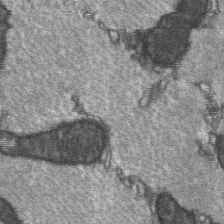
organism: C57BL Mouse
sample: Soleus